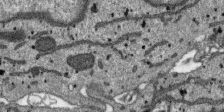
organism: Human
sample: Lung epithelial cells, uninfected (mock) control